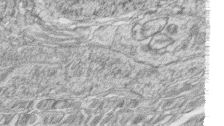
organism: Zebrafish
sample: synaptic ribbons in rod cells and cone cells